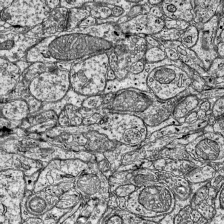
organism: Mouse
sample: Visual Cortex